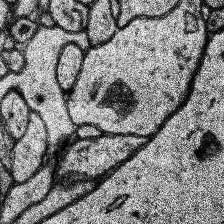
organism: Human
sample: Temporal Lobe